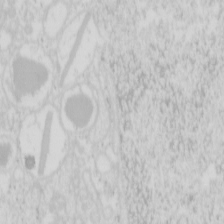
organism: Mouse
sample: Pancreas